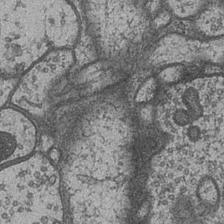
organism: Drosophila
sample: Optic medulla